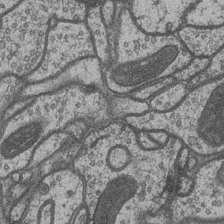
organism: Drosophila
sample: Optic medulla